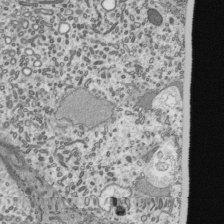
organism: Mouse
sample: Mouse epididymis efferent ductule cilia